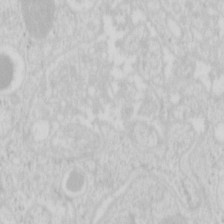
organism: Mouse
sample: Pancreas